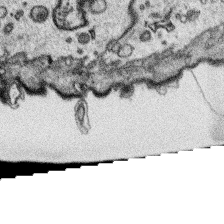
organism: Platynereis dumerilii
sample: Parapodia